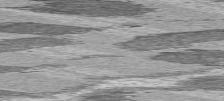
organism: C57BL Mouse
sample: Heart